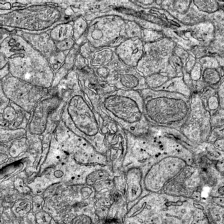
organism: Mouse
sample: Visual Cortex